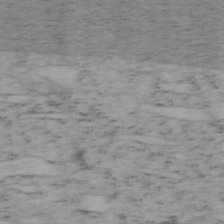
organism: Mouse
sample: OT-I killer T cells with ID8 ovarian cancer cells